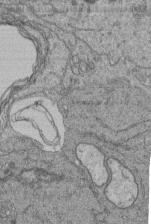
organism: Human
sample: Retinal organoid Rod and Cone cells